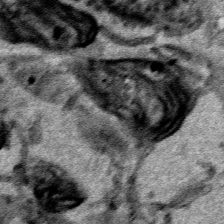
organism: Human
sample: Mitochondria in HCT116 cells